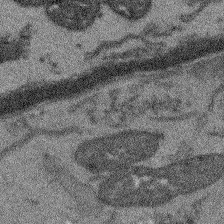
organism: Arabidopsis thaliana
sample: Root tip